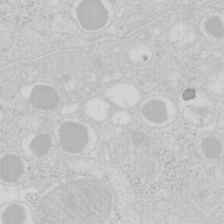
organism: Mouse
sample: Pancreas